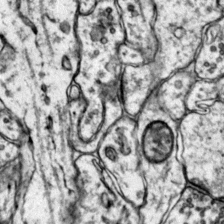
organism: Mouse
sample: Primary visual cortex